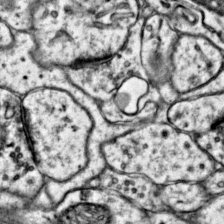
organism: Mouse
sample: Primary visual cortex